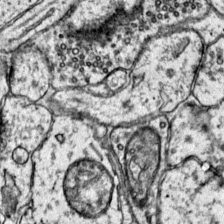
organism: Mouse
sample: Primary visual cortex